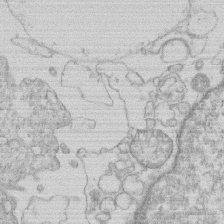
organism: Human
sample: Macrophage cells